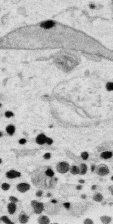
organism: Human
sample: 1205lu cells